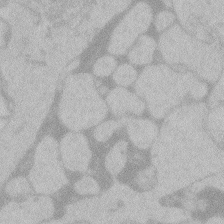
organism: Zebrafish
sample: Macrophage infected with Toxoplasma gondii